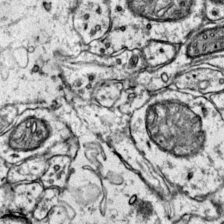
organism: Mouse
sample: Primary visual cortex